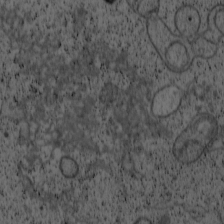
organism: African green monkey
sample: COS-7 cells